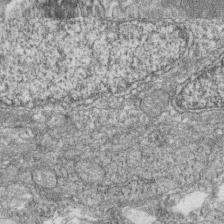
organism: Zebrafish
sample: Cilia; retinal pigment epithelium